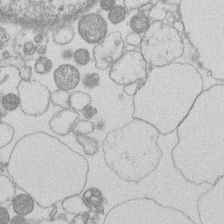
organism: Human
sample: Macrophage cells